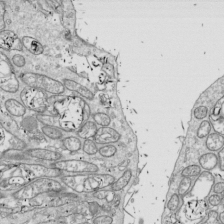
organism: Drosophila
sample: Cell division; meiosis; drosophila spermatocytes